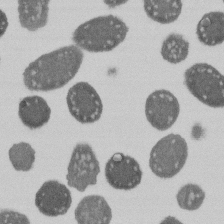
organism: E. coli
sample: Bacterial nucleoid